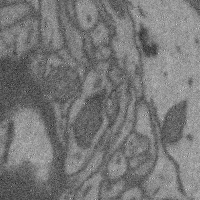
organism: Mouse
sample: Cerebral cortex